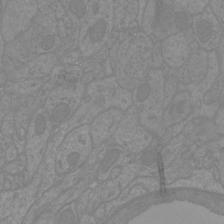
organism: Mouse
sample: Cortical neurons